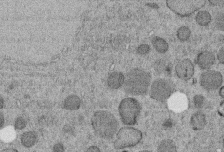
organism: C. elegans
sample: C. elegans embryo early stage